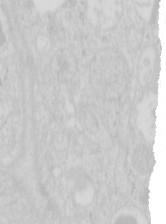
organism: Mouse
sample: Pancreas